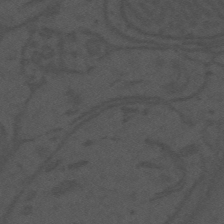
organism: Mouse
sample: Suprachiasmatic nucleus